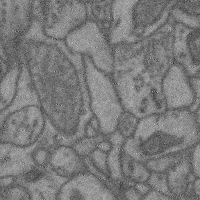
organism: Mouse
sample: Cerebral cortex